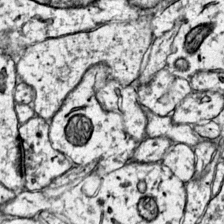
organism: Mouse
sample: Primary visual cortex